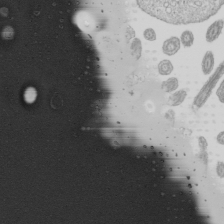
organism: Mouse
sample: Cilia; mouse epididymis